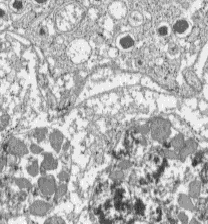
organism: C57BL Mouse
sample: Pancreatic islet